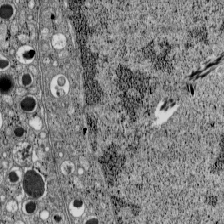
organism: C57BL Mouse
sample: Pancreatic islet